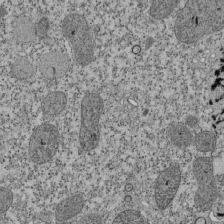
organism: Tetrahymena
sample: Cilia in tetrahymena